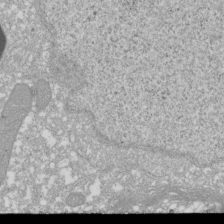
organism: Xenopus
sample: Cilia; centrioles in frog embryo cells